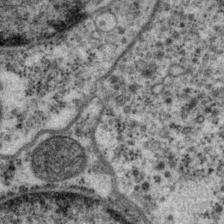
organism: P. pacificus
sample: Pharynx